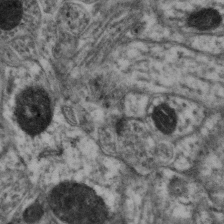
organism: Mouse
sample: Neocortex